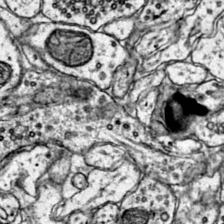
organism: Mouse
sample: Primary visual cortex